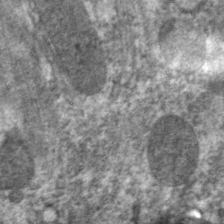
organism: C. elegans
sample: Pharynx